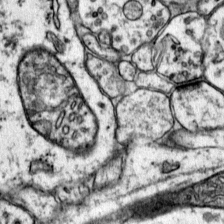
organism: Mouse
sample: Primary visual cortex